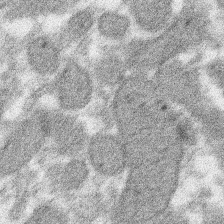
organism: Xenopus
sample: Cilia; centrioles in frog embryo cells